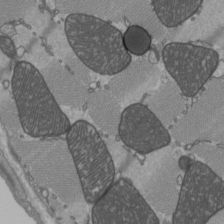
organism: C57BL Mouse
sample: Heart